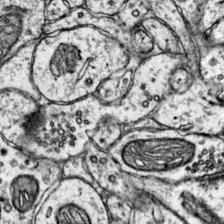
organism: Mouse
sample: Primary visual cortex